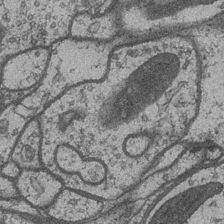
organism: Drosophila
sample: Optic medulla